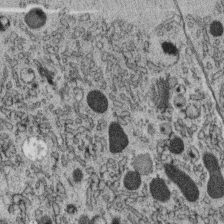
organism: C. elegans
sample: C. elegans oocyte; sperm cells